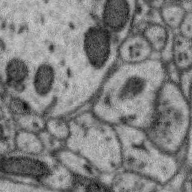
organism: Zebra finch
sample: Brain